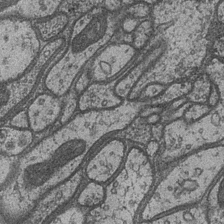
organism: Drosophila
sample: Optic medulla